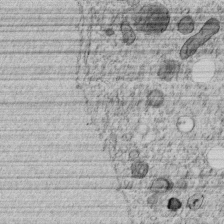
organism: C. elegans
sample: C. elegans embryo early stage